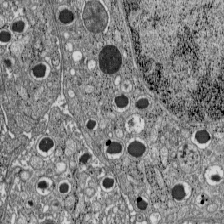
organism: C57BL Mouse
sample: Pancreatic islet